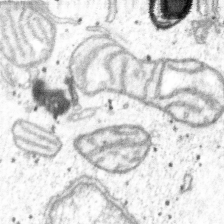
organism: Human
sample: HeLa cells